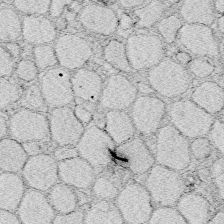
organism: Zebrafish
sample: Whole-Brain